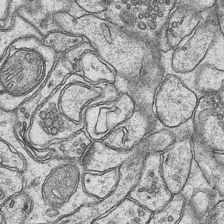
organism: Mouse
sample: CA1 Hippocampus